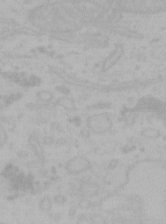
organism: Mouse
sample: Choroid plexus